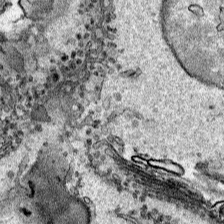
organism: Human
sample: Mitochondria in HCT116 cells